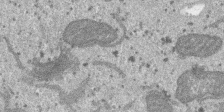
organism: Human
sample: Lung epithelial cells infected with SARS-CoV-2